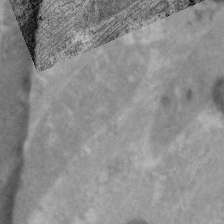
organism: C. elegans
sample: Pharynx